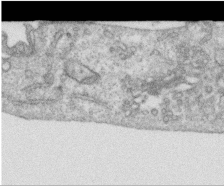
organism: Human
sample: Centriole in RPE cells